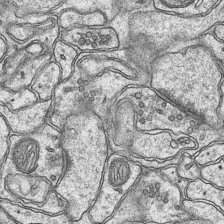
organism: Mouse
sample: CA1 Hippocampus